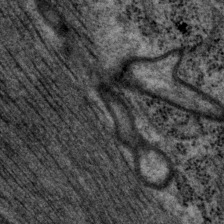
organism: P. pacificus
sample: Pharynx